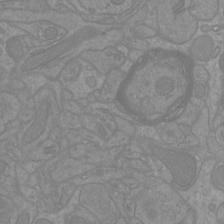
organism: Mouse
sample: Cortical neurons